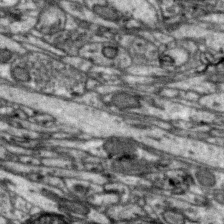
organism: Zebra finch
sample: Brain